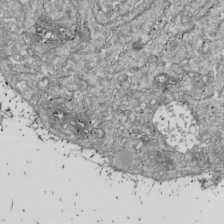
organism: Drosophila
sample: Cell division; meiosis; drosophila spermatocytes